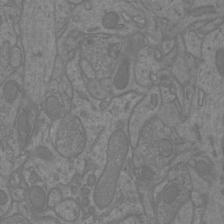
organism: Mouse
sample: Cortical neurons